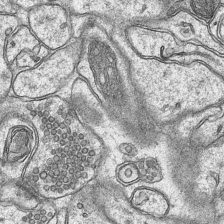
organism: Mouse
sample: CA1 Hippocampus